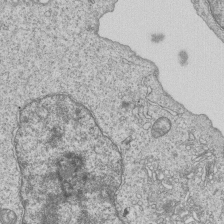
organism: Human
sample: MDA-MB-231 cells